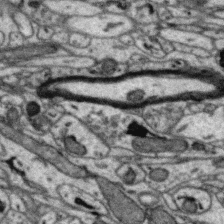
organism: Zebra finch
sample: Brain